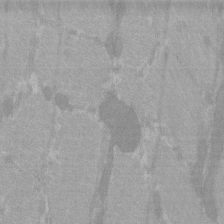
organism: C57BL Mouse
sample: Tibialis anterior muscle cell